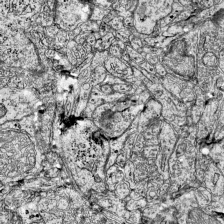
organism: Mouse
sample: Visual Cortex